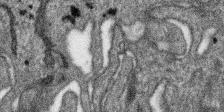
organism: Human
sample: Lung epithelial cells infected with SARS-CoV-2